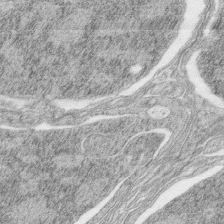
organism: Zebrafish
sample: synaptic ribbons in rod cells and cone cells